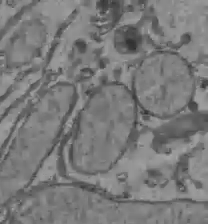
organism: C57BL Mouse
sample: Liver